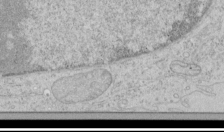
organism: Human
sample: Mitochondria in HCT116 cells